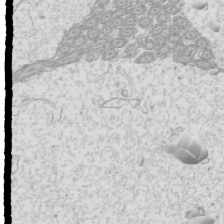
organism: Mouse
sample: Cilia; mouse epididymis